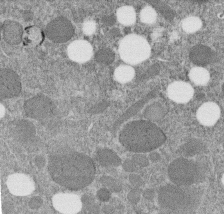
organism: C. elegans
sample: C. elegans embryo early stage